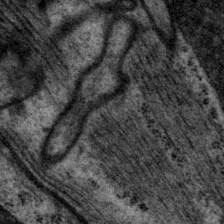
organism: P. pacificus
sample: Pharynx